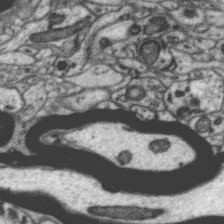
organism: Zebra finch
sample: Brain